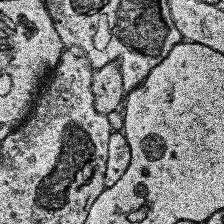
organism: Human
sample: Temporal Lobe